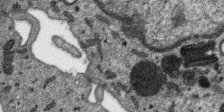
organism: Human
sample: Lung epithelial cells infected with SARS-CoV-2